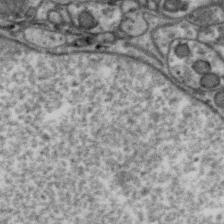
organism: Zebra finch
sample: Brain